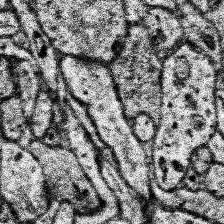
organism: Human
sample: Temporal Lobe